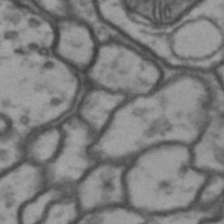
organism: Drosophila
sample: Brain